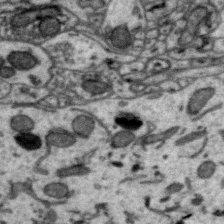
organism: Zebra finch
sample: Brain